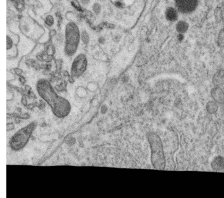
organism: C. elegans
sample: C. elegans oocyte; sperm cells